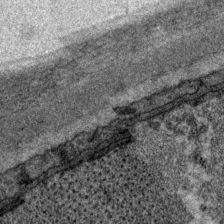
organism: P. pacificus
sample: Pharynx